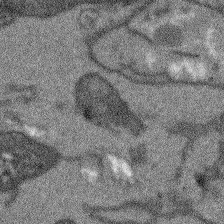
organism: Arabidopsis thaliana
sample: Root tip